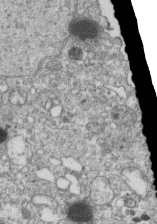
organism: Human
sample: HeLa cell HIV synapse